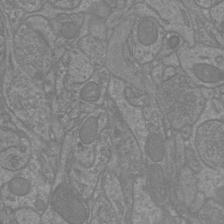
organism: Mouse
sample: Cortical neurons